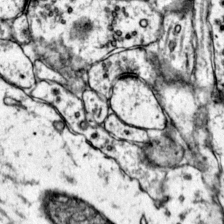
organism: Mouse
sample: Primary visual cortex